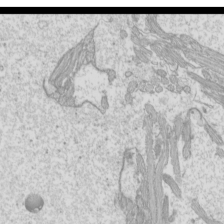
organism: Mouse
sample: Cilia; mouse epididymis